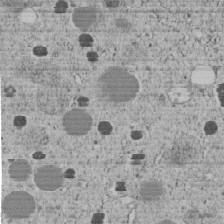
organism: C. elegans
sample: C. elegans embryo early stage